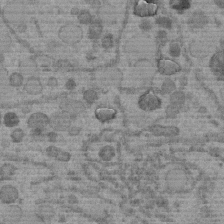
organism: C. elegans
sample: C. elegans embryo early stage